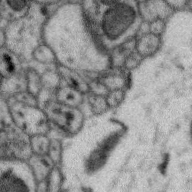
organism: Zebra finch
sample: Brain